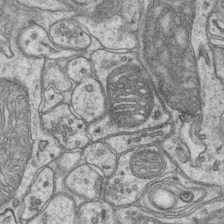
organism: Mouse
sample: CA1 Hippocampus